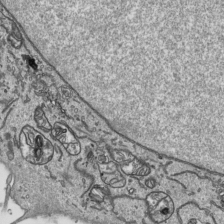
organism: Human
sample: Mitochondria in HCT116 cells